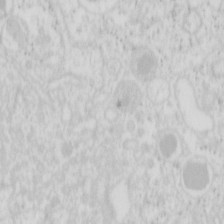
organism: Mouse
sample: Pancreas